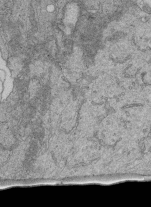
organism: Human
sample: Retinal organoid Rod and Cone cells